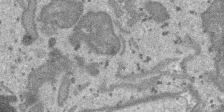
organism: Human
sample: Lung epithelial cells infected with SARS-CoV-2